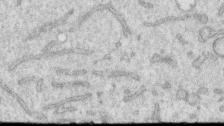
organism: Human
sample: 1205lu cells